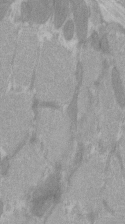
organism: C57BL Mouse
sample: Tibialis anterior muscle cell